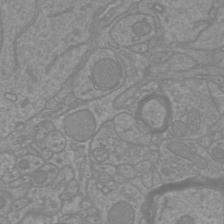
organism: Mouse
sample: Cortical neurons